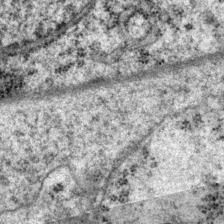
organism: P. pacificus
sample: Pharynx